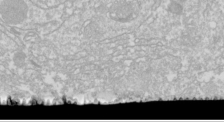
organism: Drosophila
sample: Cell division; meiosis; drosophila spermatocytes